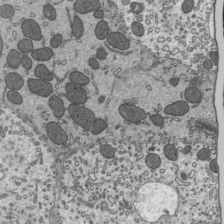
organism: Mouse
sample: Mouse epididymis efferent ductule cilia